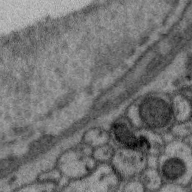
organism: Zebra finch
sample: Brain